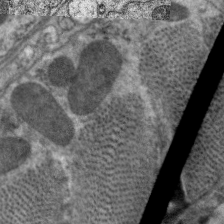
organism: C. elegans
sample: Pharynx